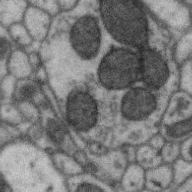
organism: Zebra finch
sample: Brain